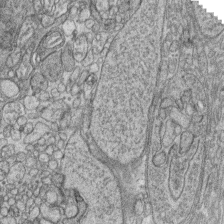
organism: Zebrafish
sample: synaptic ribbons in rod cells and cone cells